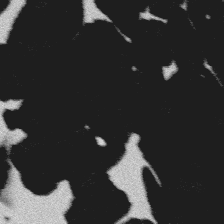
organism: Platynereis dumerilii